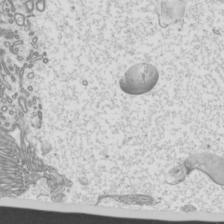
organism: Mouse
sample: Cilia; mouse epididymis